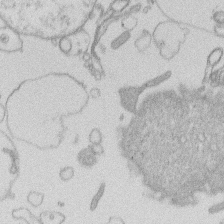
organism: Human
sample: Macrophage cells